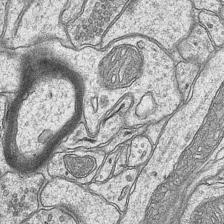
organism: Mouse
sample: CA1 Hippocampus